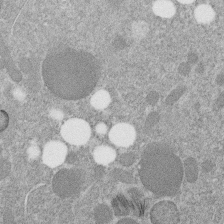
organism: C. elegans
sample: C. elegans embryo early stage